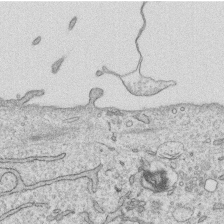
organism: Human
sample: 1205lu cells